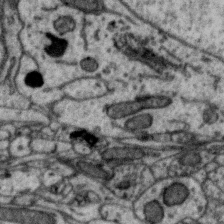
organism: Zebra finch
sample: Brain